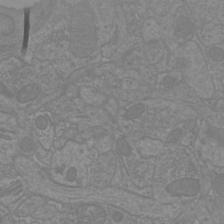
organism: Mouse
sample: Cortical neurons